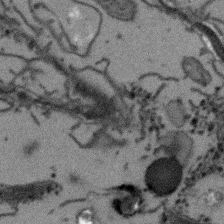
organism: Arabidopsis thaliana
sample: Root tip